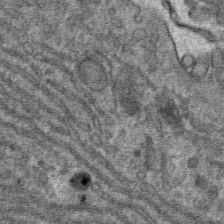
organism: Mouse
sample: Mouse hepatocytes